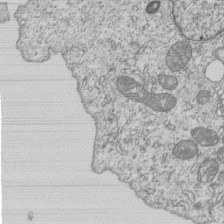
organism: Human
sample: MDA-MB-231 cells